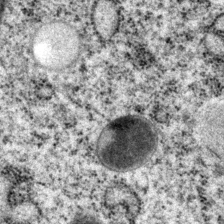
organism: P. pacificus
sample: Pharynx